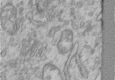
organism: Human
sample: Centriole in RPE cells